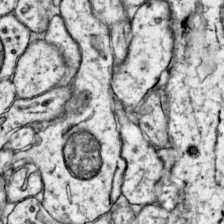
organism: Mouse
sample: Primary visual cortex